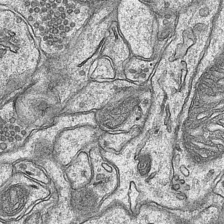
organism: Mouse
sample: CA1 Hippocampus